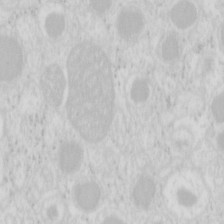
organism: Mouse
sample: Pancreas